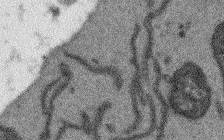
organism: Arabidopsis thaliana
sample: Root tip